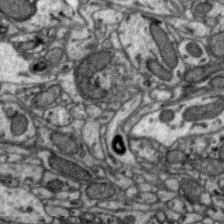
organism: Zebra finch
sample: Brain